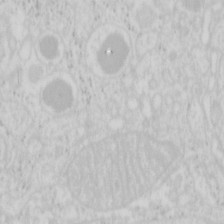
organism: Mouse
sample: Pancreas